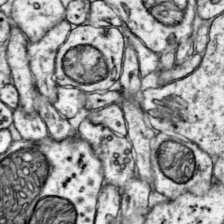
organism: Mouse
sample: Primary visual cortex